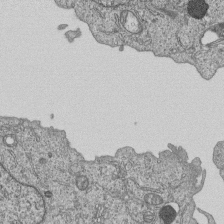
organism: Human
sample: MDA-MB-231 cells